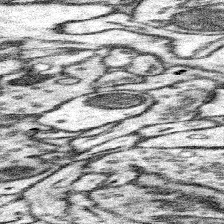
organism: Mouse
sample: Somatosensory cortex neuropil